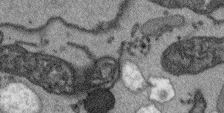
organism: Arabidopsis thaliana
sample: Root tip